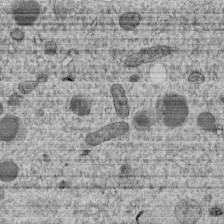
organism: C. elegans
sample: C. elegans embryo early stage